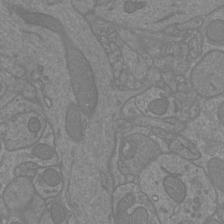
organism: Mouse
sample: Cortical neurons